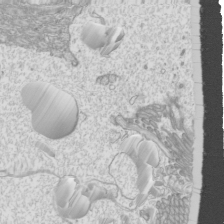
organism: Mouse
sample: Cilia; mouse epididymis